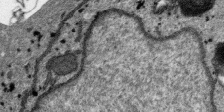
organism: Human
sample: Lung epithelial cells, uninfected (mock) control